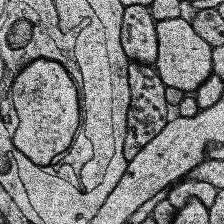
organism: Human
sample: Temporal Lobe